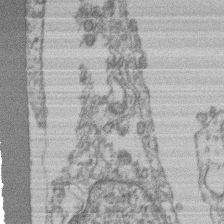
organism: Mouse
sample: T cell stromal cell synapse